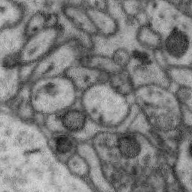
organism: Zebra finch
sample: Brain